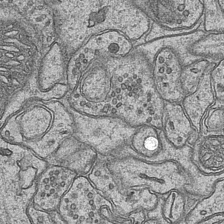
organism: Mouse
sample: CA1 Hippocampus